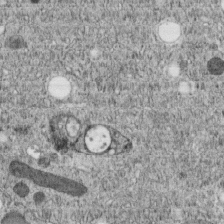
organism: C. elegans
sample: C. elegans embryo early stage